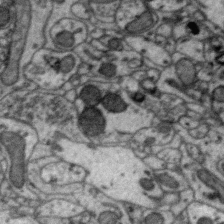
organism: Zebra finch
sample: Brain